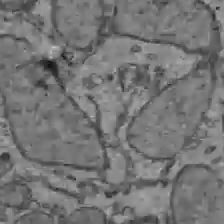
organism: C57BL Mouse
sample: Liver